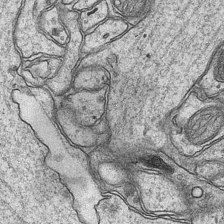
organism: Mouse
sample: CA1 Hippocampus